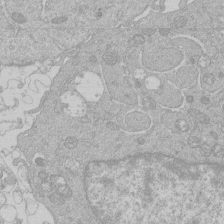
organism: Human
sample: Macrophage cells